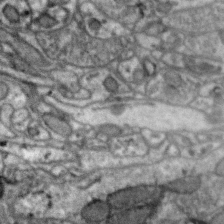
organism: Zebra finch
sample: Brain